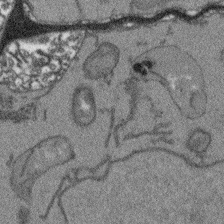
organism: Arabidopsis thaliana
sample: Root tip